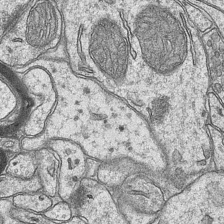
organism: Mouse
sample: CA1 Hippocampus